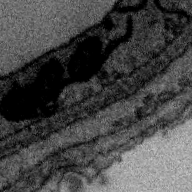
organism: Zebra finch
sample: Brain